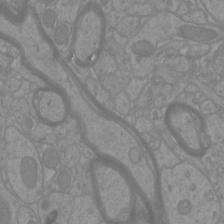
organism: Mouse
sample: Cortical neurons